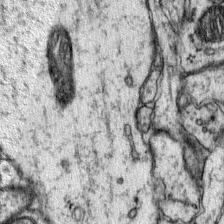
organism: Mouse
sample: Primary visual cortex